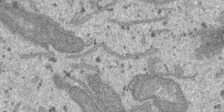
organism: Human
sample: Lung epithelial cells infected with SARS-CoV-2